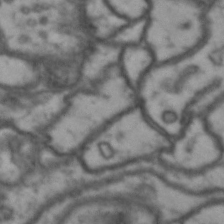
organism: Drosophila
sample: Brain